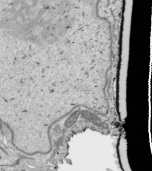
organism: Human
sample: Mitochondria in HCT116 cells